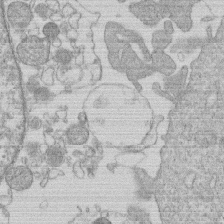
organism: Human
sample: Macrophage cells